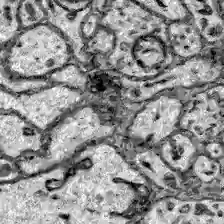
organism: Zebrafish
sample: Brain